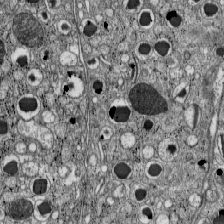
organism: C57BL Mouse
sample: Pancreatic islet